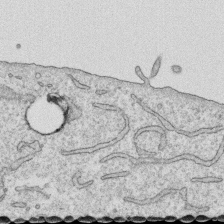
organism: Human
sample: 1205lu cells